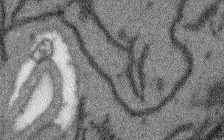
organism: Arabidopsis thaliana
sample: Root tip